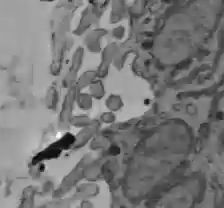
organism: C57BL Mouse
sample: Liver